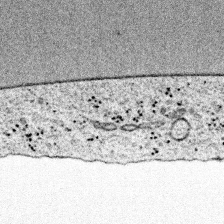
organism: Human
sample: HeLa cells